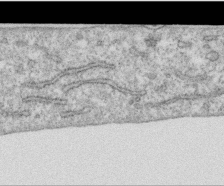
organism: Human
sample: Centriole in RPE cells